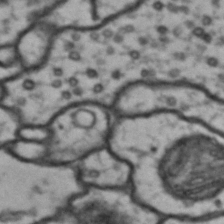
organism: Drosophila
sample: Brain